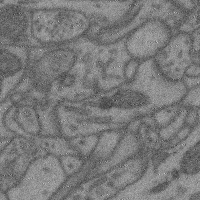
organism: Mouse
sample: Cerebral cortex